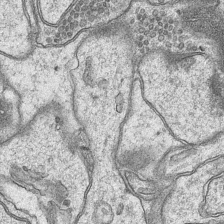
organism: Mouse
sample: CA1 Hippocampus